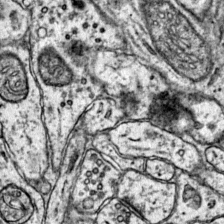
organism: Mouse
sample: Primary visual cortex